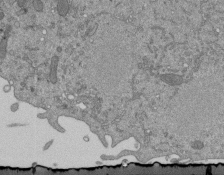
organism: Mouse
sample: ED-1 cell nuclei; centrioles